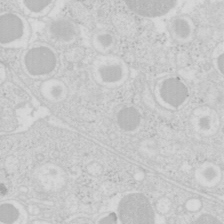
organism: Mouse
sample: Pancreas